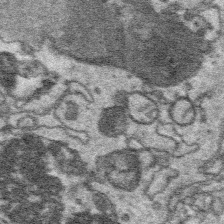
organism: Platynereis dumerilii